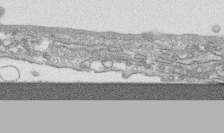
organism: Human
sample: CRL-1474